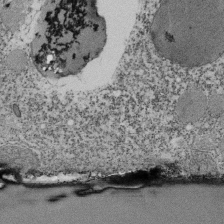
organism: Tetrahymena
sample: Cilia in tetrahymena